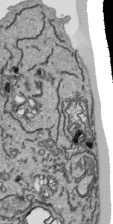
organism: Human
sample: Mitochondria in HCT116 cells